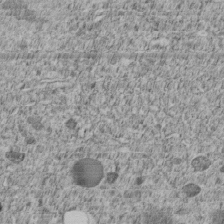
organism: C. elegans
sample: C. elegans embryo early stage